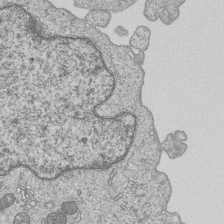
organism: Human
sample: MDA-MB-231 cells